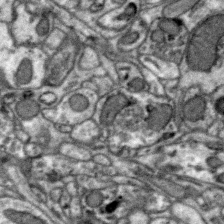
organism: Zebra finch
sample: Brain